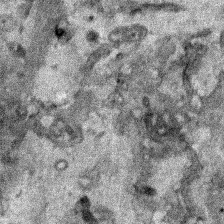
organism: Human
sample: Mitochondria in HCT116 cells